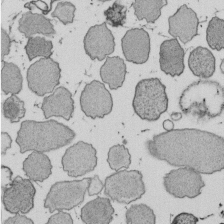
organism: E. coli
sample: Bacterial nucleoid